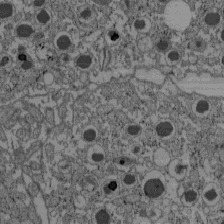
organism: C57BL Mouse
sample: Pancreatic islet